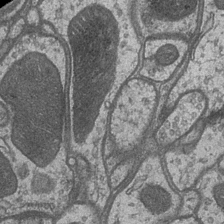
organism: Drosophila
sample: Optic medulla